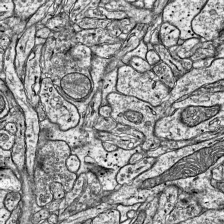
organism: Mouse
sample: Visual Cortex